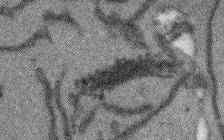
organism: Arabidopsis thaliana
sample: Root tip